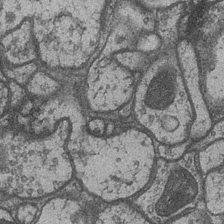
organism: Drosophila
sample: Optic medulla